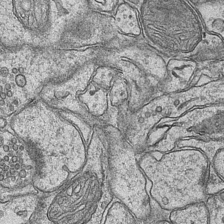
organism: Mouse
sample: CA1 Hippocampus